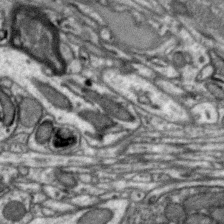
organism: Zebra finch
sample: Brain